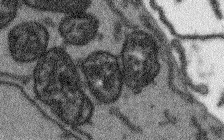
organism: Arabidopsis thaliana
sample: Root tip